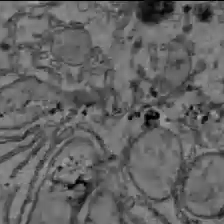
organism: C57BL Mouse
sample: Liver